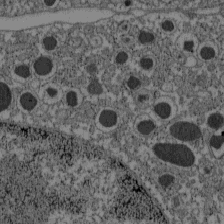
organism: C57BL Mouse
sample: Pancreatic islet